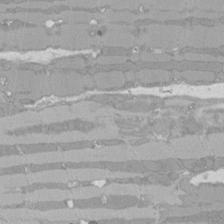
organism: Rat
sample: Left ventricle